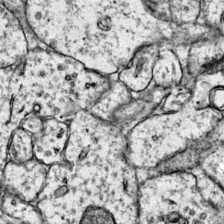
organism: Mouse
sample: Primary visual cortex